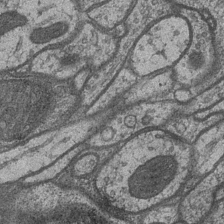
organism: Drosophila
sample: Optic medulla